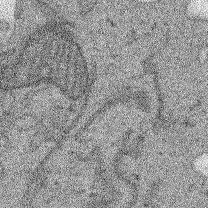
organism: Human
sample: HeLa cells